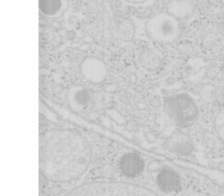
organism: Mouse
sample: Pancreas